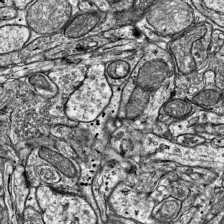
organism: Mouse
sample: Visual Cortex